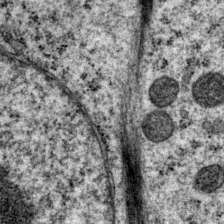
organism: P. pacificus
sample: Pharynx